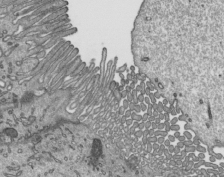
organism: Mouse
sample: Mouse epididymis efferent ductule cilia